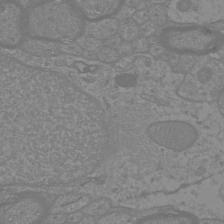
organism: Mouse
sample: Cortical neurons